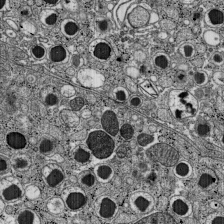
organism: C57BL Mouse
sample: Pancreatic islet